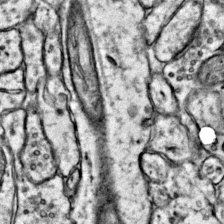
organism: Mouse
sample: Primary visual cortex